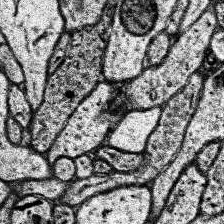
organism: Human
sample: Temporal Lobe